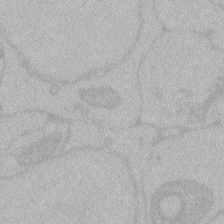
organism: Zebrafish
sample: Macrophage infected with Toxoplasma gondii